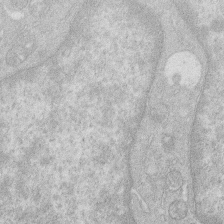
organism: Human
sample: Macrophage cells